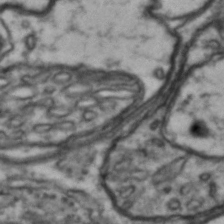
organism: Drosophila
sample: Brain